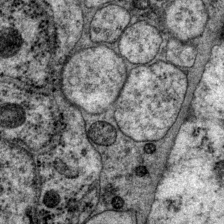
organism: P. pacificus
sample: Pharynx